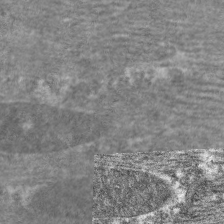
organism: C. elegans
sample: Pharynx